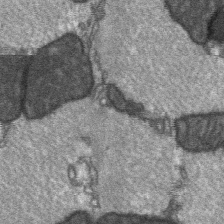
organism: C57BL Mouse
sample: Soleus